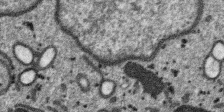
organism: Human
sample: Lung epithelial cells infected with SARS-CoV-2